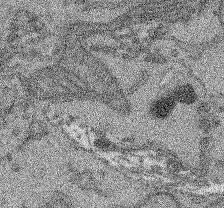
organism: Human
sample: HeLa cells